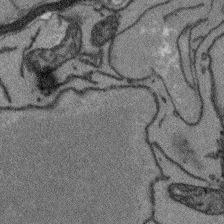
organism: Arabidopsis thaliana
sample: Root tip